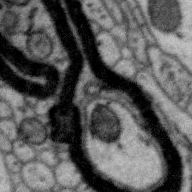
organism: Zebra finch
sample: Brain